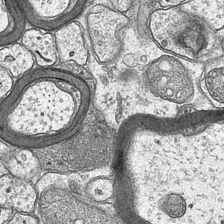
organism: Mouse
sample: CA1 Hippocampus